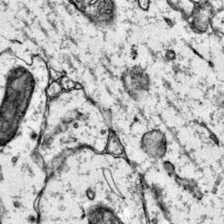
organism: Mouse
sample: Primary visual cortex